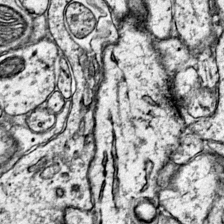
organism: Mouse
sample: Primary visual cortex